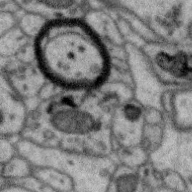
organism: Zebra finch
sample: Brain